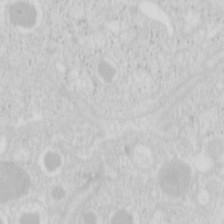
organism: Mouse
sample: Pancreas